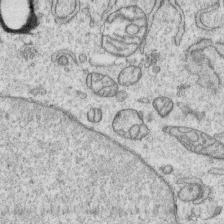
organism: Human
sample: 1205lu cells